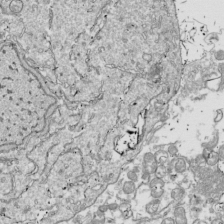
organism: Drosophila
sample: Cell division; meiosis; drosophila spermatocytes